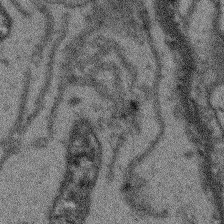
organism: Arabidopsis thaliana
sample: Root tip